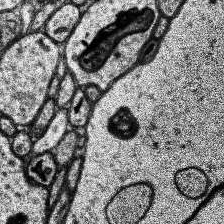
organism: Human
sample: Temporal Lobe